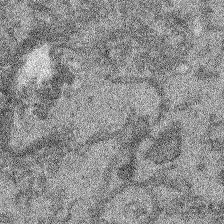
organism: Human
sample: HeLa cells